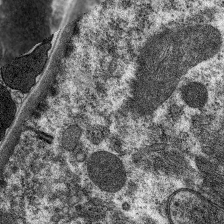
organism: C. elegans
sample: Pharynx